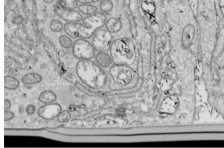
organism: Drosophila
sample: Cell division; meiosis; drosophila spermatocytes